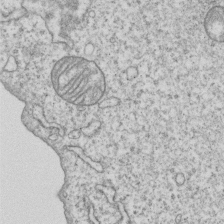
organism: Human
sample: MDA-MB-231 cells